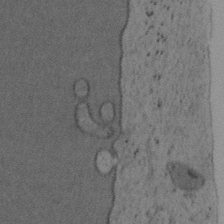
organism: Human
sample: HeLa cells